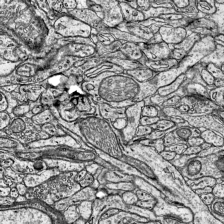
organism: Mouse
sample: Visual Cortex